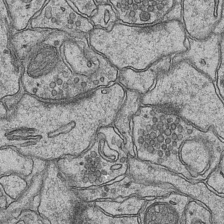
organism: Mouse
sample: CA1 Hippocampus